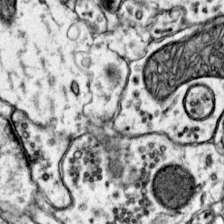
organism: Mouse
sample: Primary visual cortex